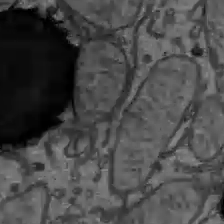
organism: C57BL Mouse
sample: Liver